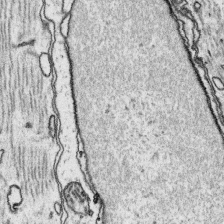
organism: Platynereis dumerilii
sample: Parapodia